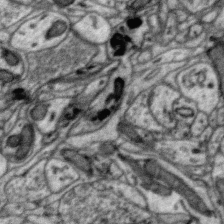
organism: Zebra finch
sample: Brain